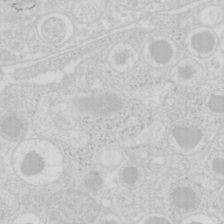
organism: Mouse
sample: Pancreas